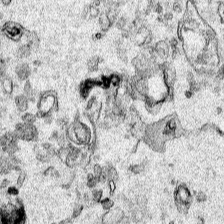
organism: Human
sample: Mitochondria in HCT116 cells